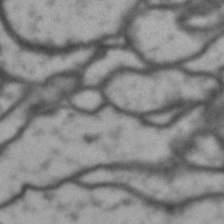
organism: Drosophila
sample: Brain